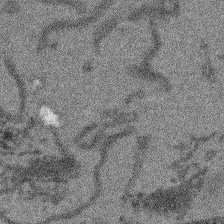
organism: Arabidopsis thaliana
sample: Root tip